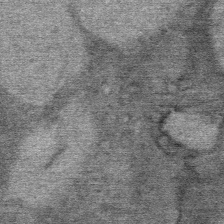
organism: Mouse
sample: Mouse Salivary gland